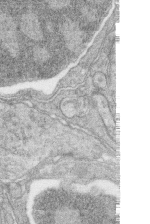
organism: Zebrafish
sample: synaptic ribbons in rod cells and cone cells